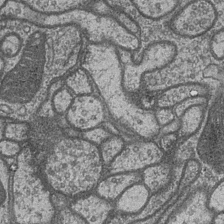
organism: Drosophila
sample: Optic medulla